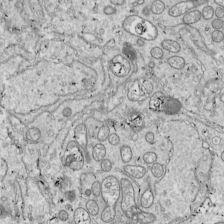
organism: Drosophila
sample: Cell division; meiosis; drosophila spermatocytes